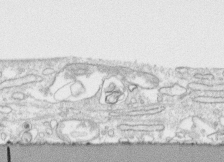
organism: Human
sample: CRL-1474